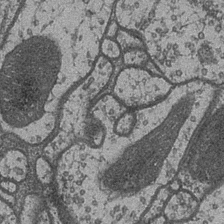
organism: Drosophila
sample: Optic medulla